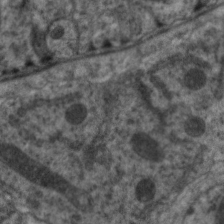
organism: C. elegans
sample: Pharynx